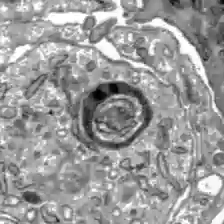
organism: C57BL Mouse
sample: Liver